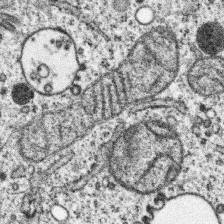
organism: Human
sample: HeLa cells